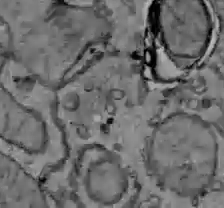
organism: C57BL Mouse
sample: Liver